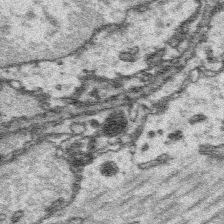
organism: Platynereis dumerilii